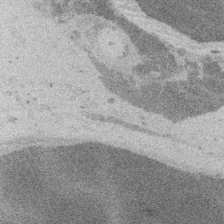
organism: Embia sp.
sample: Silk gland